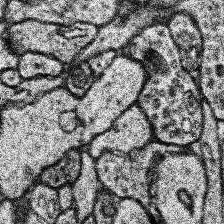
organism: Human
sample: Temporal Lobe